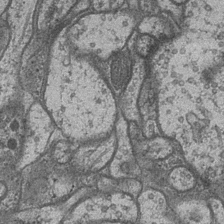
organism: Drosophila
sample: Optic medulla